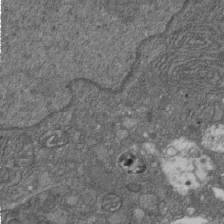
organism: Drosophila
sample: Nephrocyte